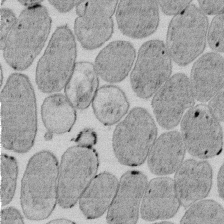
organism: E. coli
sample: Bacterial nucleoid